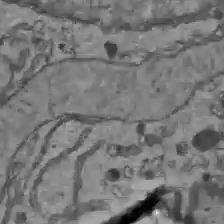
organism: C57BL Mouse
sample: Liver